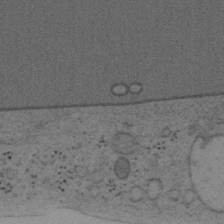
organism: Human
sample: HeLa cells